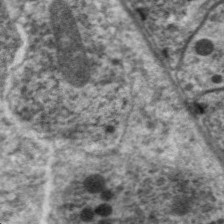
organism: C. elegans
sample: Pharynx